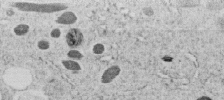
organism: C. elegans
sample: C. elegans embryo early stage